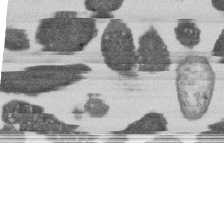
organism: E. coli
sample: Bacterial nucleoid